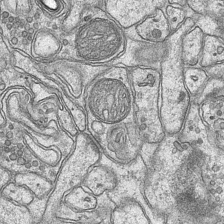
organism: Mouse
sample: CA1 Hippocampus